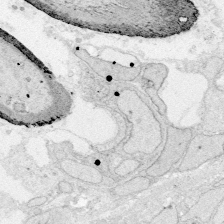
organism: Zebrafish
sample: Whole-Brain